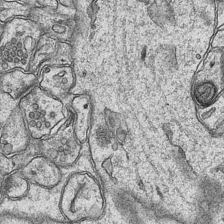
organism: Mouse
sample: CA1 Hippocampus